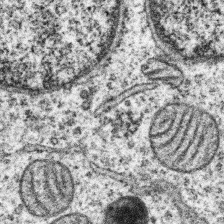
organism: Human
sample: HeLa cells